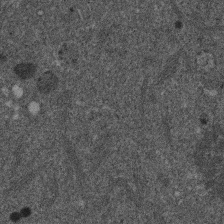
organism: Mouse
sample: Dividing mouse embryo 1 cell stage